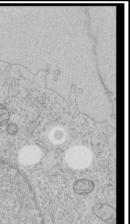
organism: Human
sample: Mitochondria in HCT116 cells